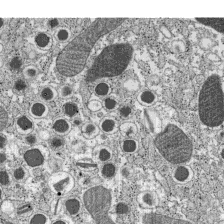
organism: C57BL Mouse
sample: Pancreatic islet